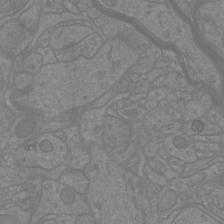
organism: Mouse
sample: Cortical neurons